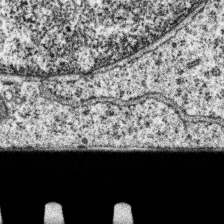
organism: Human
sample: HeLa cells